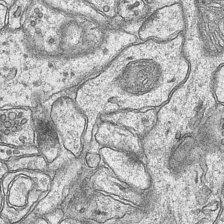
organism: Mouse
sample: CA1 Hippocampus